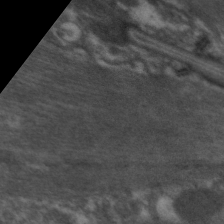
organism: C. elegans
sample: Pharynx